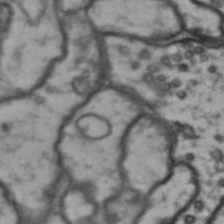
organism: Drosophila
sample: Brain